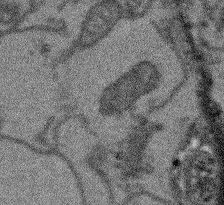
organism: Arabidopsis thaliana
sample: Root tip